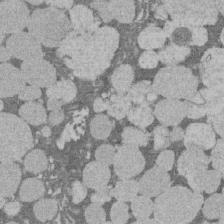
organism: Rat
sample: Salivary granule